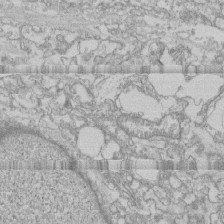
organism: Human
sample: CRL-1474